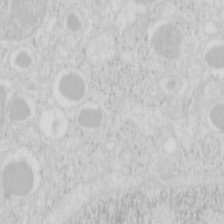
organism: Mouse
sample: Pancreas